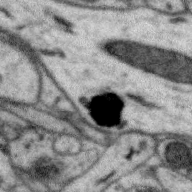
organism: Zebra finch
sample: Brain